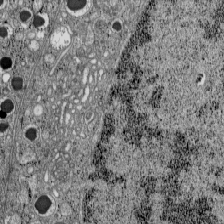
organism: C57BL Mouse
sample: Pancreatic islet